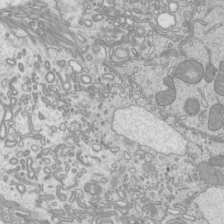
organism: Mouse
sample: Cilia; mouse epididymis